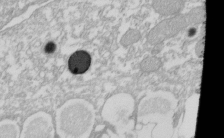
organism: Xenopus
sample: Cilia; centrioles in frog embryo cells